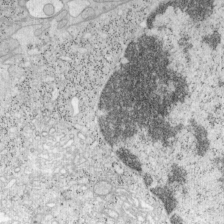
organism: Mouse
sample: OT-I killer T cells with ID8 ovarian cancer cells